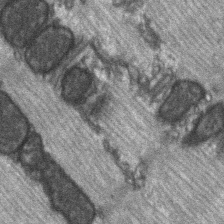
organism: C57BL Mouse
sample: Soleus